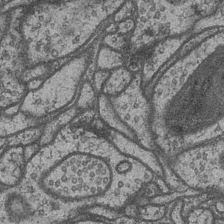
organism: Drosophila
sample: Optic medulla